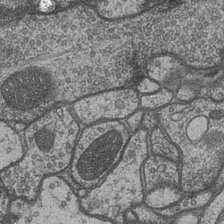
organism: Drosophila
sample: Optic medulla